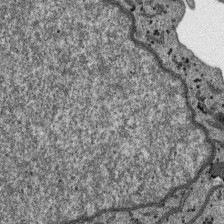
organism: Human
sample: Lung epithelial cells infected with SARS-CoV-2